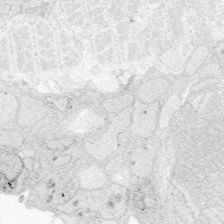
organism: Zebrafish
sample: Whole-Brain